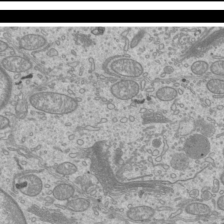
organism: Mouse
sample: Cilia; mouse epididymis